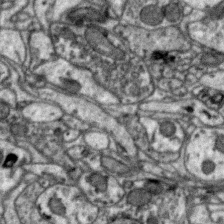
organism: Zebra finch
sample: Brain